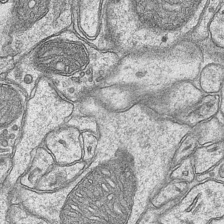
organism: Mouse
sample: CA1 Hippocampus